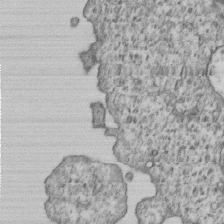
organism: Human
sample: MDA-MB-231 cells